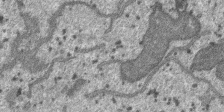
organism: Human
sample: Lung epithelial cells infected with SARS-CoV-2